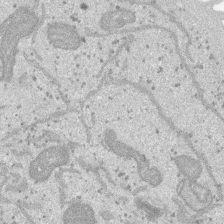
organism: Human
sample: Lung epithelial cells infected with SARS-CoV-2